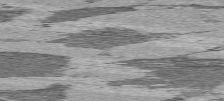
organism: C57BL Mouse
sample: Heart